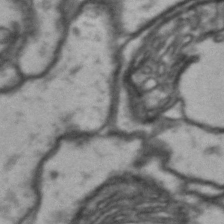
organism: Drosophila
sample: Brain